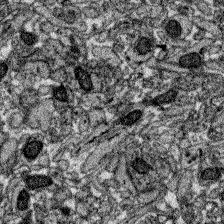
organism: Zebrafish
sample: Larval olfactory bulb